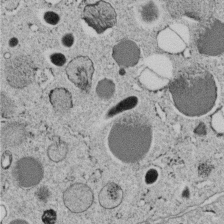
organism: C. elegans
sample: C. elegans embryo early stage